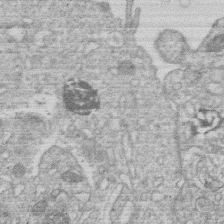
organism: Human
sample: Macrophage cells